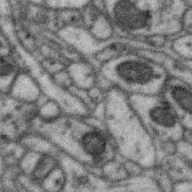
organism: Zebra finch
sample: Brain